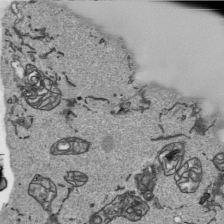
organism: Human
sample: Mitochondria in HCT116 cells